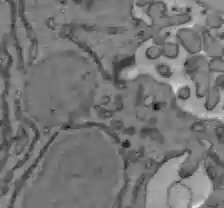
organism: C57BL Mouse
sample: Liver